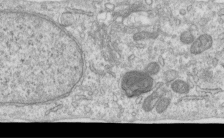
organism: Human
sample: Centriole in RPE cells